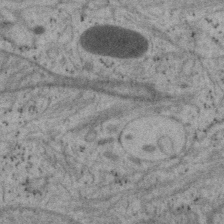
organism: Human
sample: HeLa cells